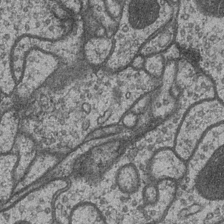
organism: Drosophila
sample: Optic medulla